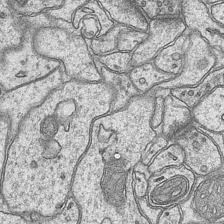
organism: Mouse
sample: CA1 Hippocampus